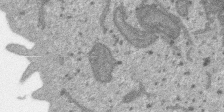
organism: Human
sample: Lung epithelial cells infected with SARS-CoV-2